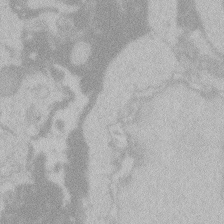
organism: Zebrafish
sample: Macrophage infected with Toxoplasma gondii